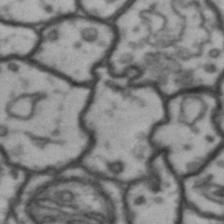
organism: Drosophila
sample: Brain